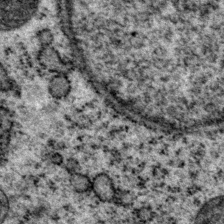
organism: P. pacificus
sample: Pharynx